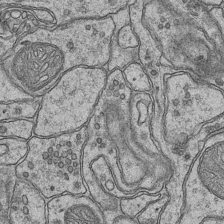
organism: Mouse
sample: CA1 Hippocampus